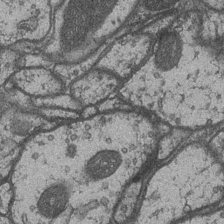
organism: Drosophila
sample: Optic medulla